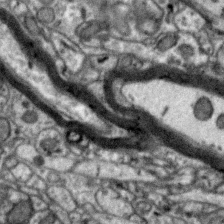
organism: Zebra finch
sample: Brain